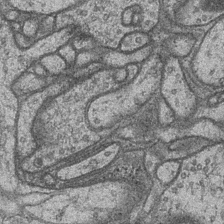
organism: Drosophila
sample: Optic medulla